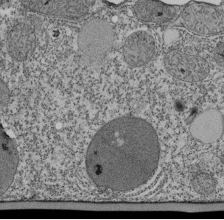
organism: Tetrahymena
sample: Cilia in tetrahymena